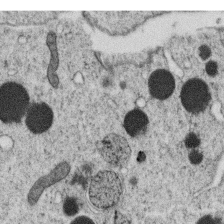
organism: C. elegans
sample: C. elegans oocyte; sperm cells